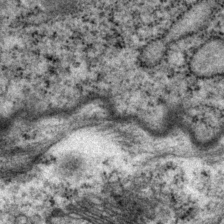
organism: P. pacificus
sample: Pharynx